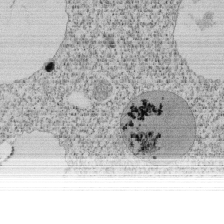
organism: Tetrahymena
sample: Cilia in tetrahymena